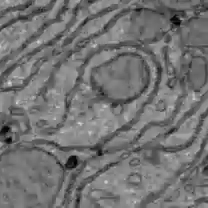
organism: C57BL Mouse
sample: Liver